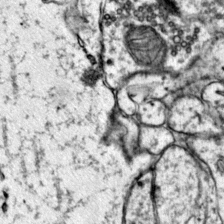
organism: Mouse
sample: Primary visual cortex